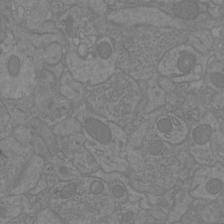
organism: Mouse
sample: Cortical neurons